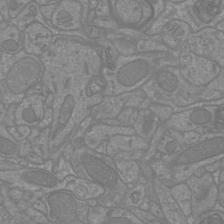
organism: Mouse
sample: Cortical neurons